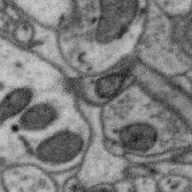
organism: Zebra finch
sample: Brain